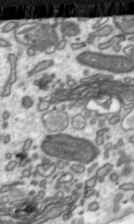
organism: Toxoplasma gondii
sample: Parasites in a vacuole inside a host cell